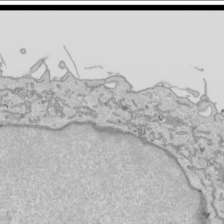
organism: Human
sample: Mitochondria in HCT116 cells